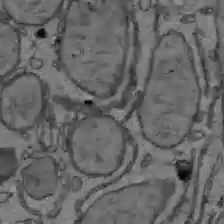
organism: C57BL Mouse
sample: Liver